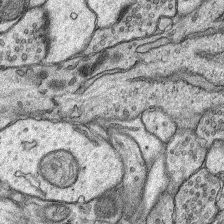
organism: Rat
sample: Hippocampus